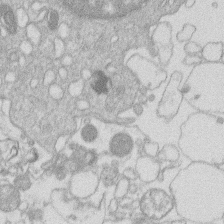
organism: Human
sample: Macrophage cells